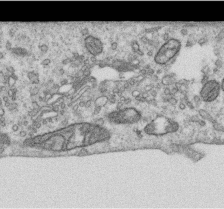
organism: Human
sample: Centriole in RPE cells